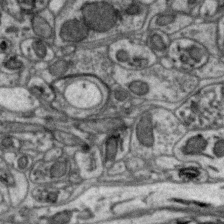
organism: Zebra finch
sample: Brain